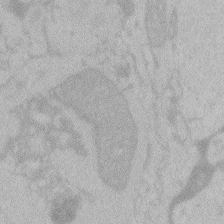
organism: Zebrafish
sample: Macrophage infected with Toxoplasma gondii